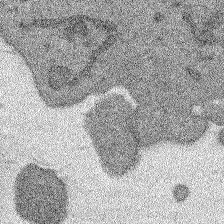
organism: Human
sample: HeLa cells